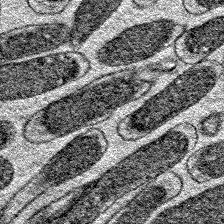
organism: E. coli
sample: E. Coli Bacteria